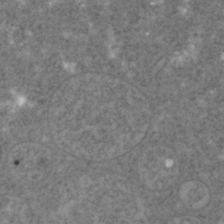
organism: C. elegans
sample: C. elegans embryo